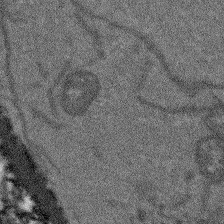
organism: Arabidopsis thaliana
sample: Root tip